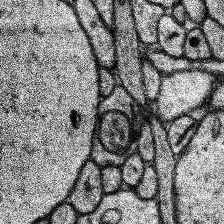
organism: Human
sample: Temporal Lobe